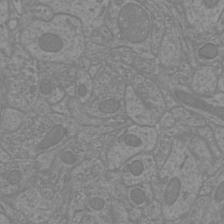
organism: Mouse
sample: Cortical neurons